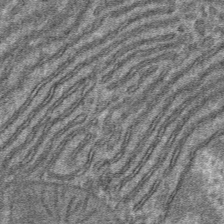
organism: Mouse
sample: Mouse hepatocytes